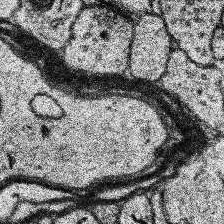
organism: Human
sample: Temporal Lobe